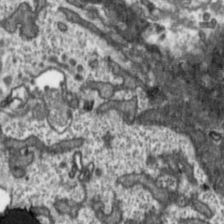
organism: Toxoplasma gondii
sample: Parasites in a vacuole inside a host cell